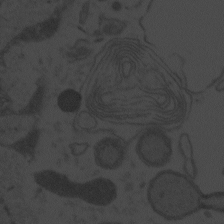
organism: Zebrafish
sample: Macrophage infected with Toxoplasma gondii